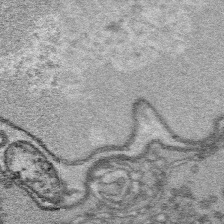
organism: Platynereis dumerilii